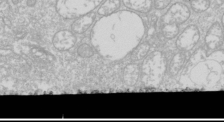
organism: Drosophila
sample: Cell division; meiosis; drosophila spermatocytes